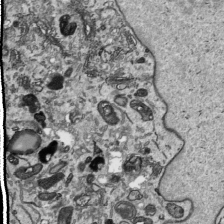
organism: Human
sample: Mitochondria in HCT116 cells